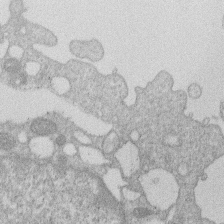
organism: Human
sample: Macrophage cells